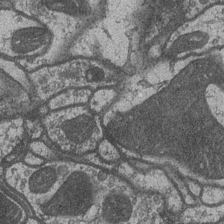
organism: Drosophila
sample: Optic medulla